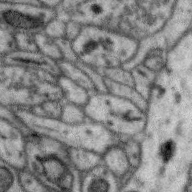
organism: Zebra finch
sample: Brain